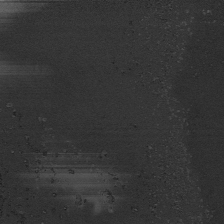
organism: Human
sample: Mitochondria in HCT116 cells